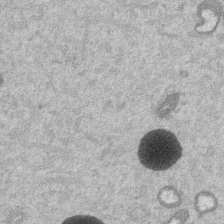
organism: Mouse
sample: Dividing mouse embryo 1 cell stage